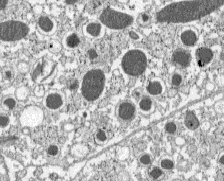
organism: C57BL Mouse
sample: Pancreatic islet